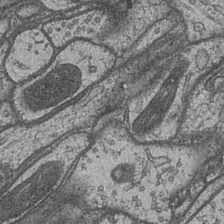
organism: Drosophila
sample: Optic medulla